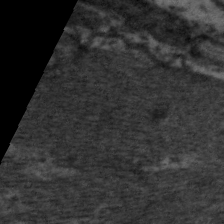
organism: C. elegans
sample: Pharynx